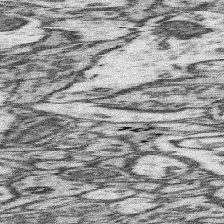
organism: Mouse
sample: Somatosensory cortex neuropil